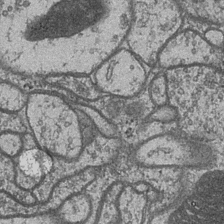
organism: Drosophila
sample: Optic medulla